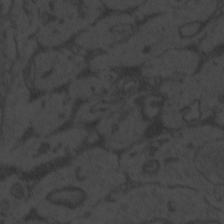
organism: Zebrafish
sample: Macrophage infected with Toxoplasma gondii